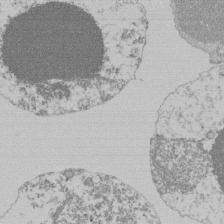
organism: Mouse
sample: Activated Pmel transgenic CD8+ T Cells